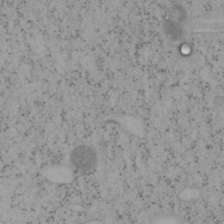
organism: Mouse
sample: OT-I killer T cells with ID8 ovarian cancer cells